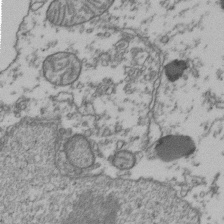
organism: Human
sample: Activated Jurkat CD4+ T cells